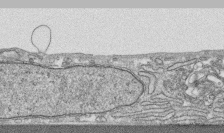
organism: Human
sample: CRL-1474